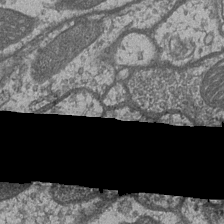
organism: Drosophila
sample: Optic medulla